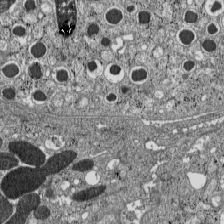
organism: C57BL Mouse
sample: Pancreatic islet